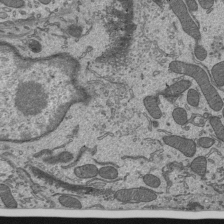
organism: Mouse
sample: Mouse epididymis efferent ductule cilia